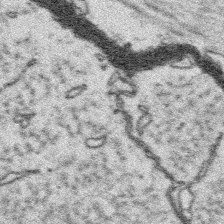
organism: Platynereis dumerilii